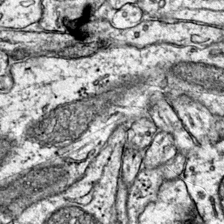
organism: Mouse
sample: Primary visual cortex